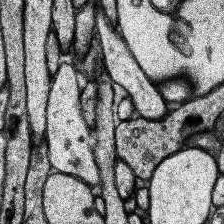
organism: Human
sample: Temporal Lobe